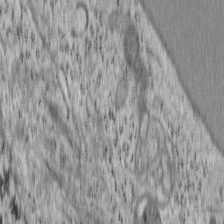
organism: Human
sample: HeLa cells